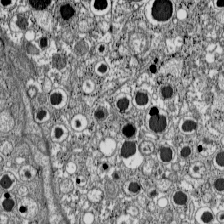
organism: C57BL Mouse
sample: Pancreatic islet